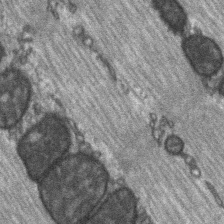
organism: C57BL Mouse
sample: Soleus